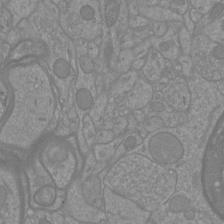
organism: Mouse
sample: Cortical neurons